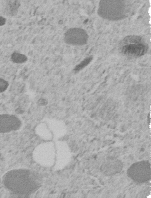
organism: C. elegans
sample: C. elegans embryo early stage